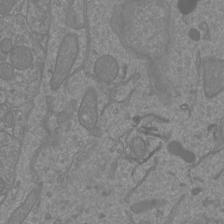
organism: Mouse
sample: Cortical neurons